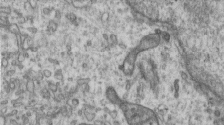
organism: Human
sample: Centriole in RPE cells